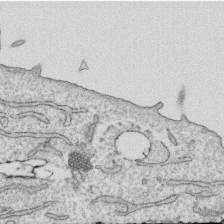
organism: Human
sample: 1205lu cells